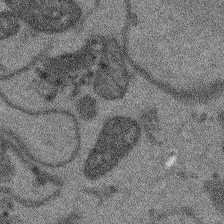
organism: Arabidopsis thaliana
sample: Root tip